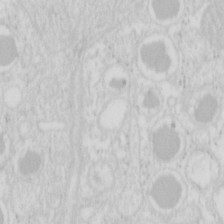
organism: Mouse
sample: Pancreas